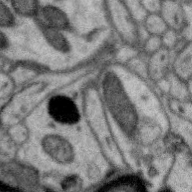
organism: Zebra finch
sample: Brain